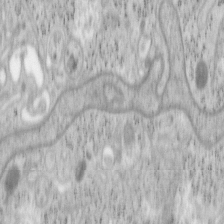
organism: Human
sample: HeLa cells